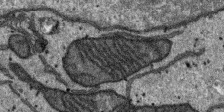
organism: Human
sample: Lung epithelial cells, uninfected (mock) control